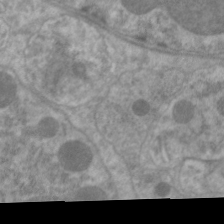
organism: C. elegans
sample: Pharynx